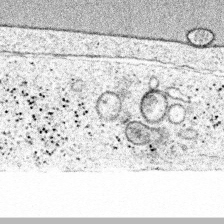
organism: Human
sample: HeLa cells